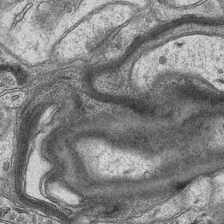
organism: Mouse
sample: CA1 Hippocampus